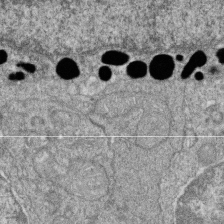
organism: Zebrafish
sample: Cilia; retinal pigment epithelium